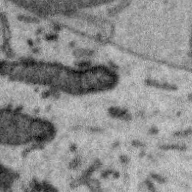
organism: Zebra finch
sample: Brain